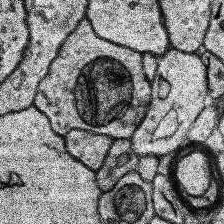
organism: Human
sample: Temporal Lobe